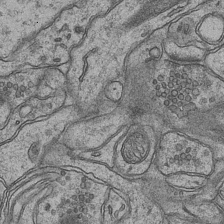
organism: Mouse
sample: CA1 Hippocampus